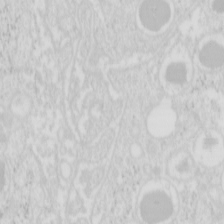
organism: Mouse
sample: Pancreas